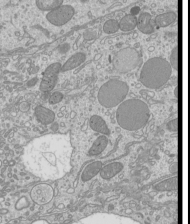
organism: Mouse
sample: Cilia; mouse epididymis